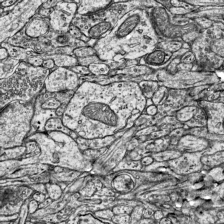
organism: Mouse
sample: Visual Cortex